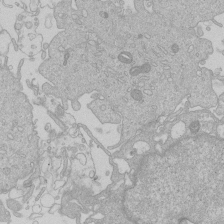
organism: Human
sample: Macrophage cells